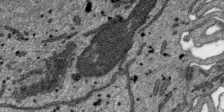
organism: Human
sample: Lung epithelial cells, uninfected (mock) control